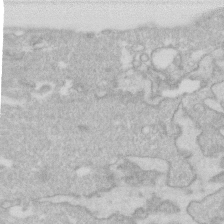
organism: Human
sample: Fibroblast cells